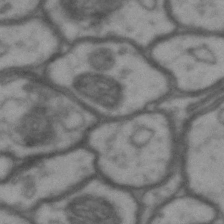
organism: Drosophila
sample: Brain